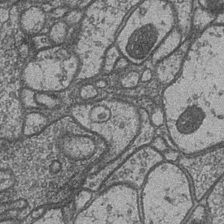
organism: Drosophila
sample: Optic medulla